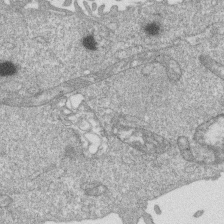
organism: Human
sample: HeLa cell HIV synapse